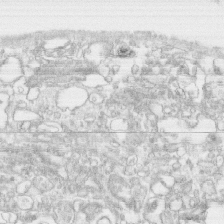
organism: Human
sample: CRL-1474